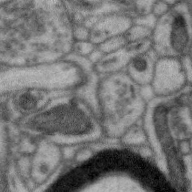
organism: Zebra finch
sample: Brain